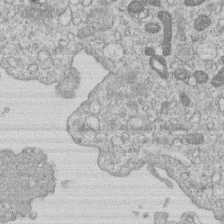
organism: Human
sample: Macrophage cells